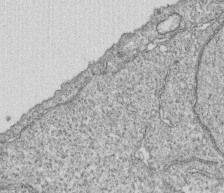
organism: Human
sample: HeLa cell HIV synapse